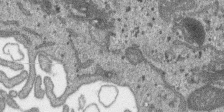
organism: Human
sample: Lung epithelial cells infected with SARS-CoV-2